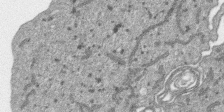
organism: Human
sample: Lung epithelial cells infected with SARS-CoV-2